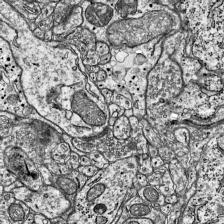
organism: Mouse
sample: Visual Cortex